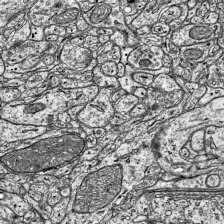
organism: Mouse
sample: Visual Cortex